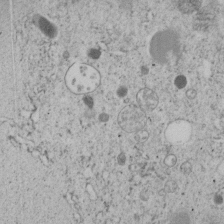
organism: C. elegans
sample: C. elegans embryo early stage